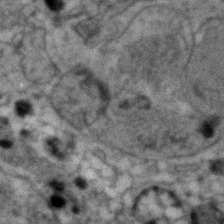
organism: Human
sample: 1205lu cells